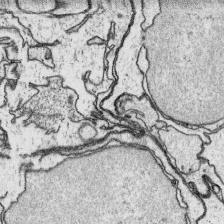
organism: Platynereis dumerilii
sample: Parapodia